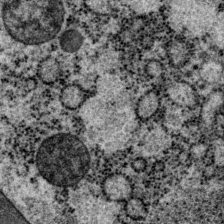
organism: P. pacificus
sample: Pharynx